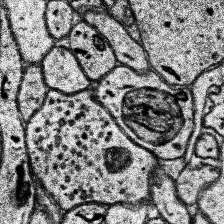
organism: Human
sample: Temporal Lobe